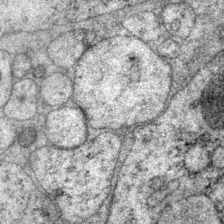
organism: P. pacificus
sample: Pharynx